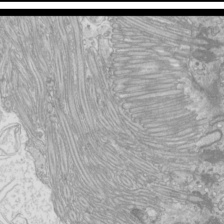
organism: Mouse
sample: Cilia; mouse epididymis